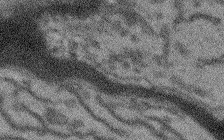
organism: Arabidopsis thaliana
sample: Root tip